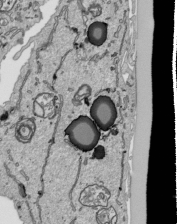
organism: Human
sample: Mitochondria in HCT116 cells